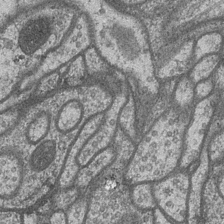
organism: Drosophila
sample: Optic medulla